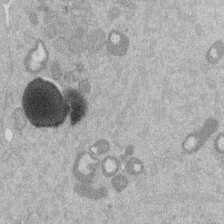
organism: Mouse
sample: Dividing mouse embryo 1 cell stage